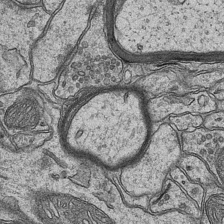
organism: Mouse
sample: CA1 Hippocampus